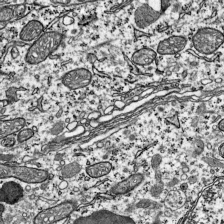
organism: Mouse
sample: Visual Cortex